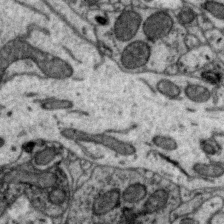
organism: Zebra finch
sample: Brain